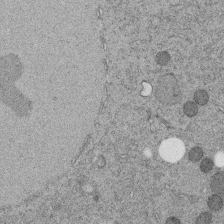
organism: C. elegans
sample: C. elegans embryo early stage